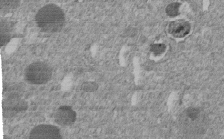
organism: C. elegans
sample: C. elegans embryo early stage